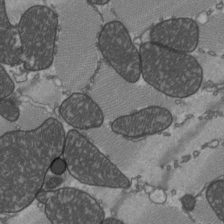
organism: C57BL Mouse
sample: Heart